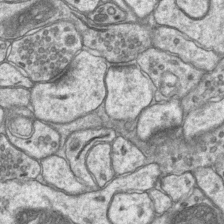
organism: Mouse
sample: CA1 Hippocampus